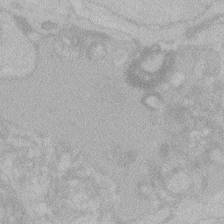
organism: Zebrafish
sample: Macrophage infected with Toxoplasma gondii